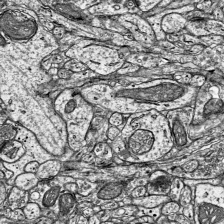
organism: Mouse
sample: Visual Cortex